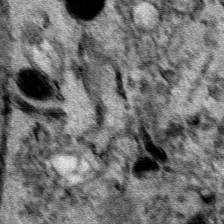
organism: Human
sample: Mitochondria in HCT116 cells